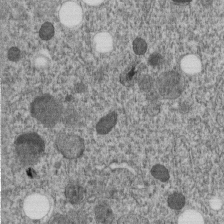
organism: C. elegans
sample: C. elegans embryo early stage